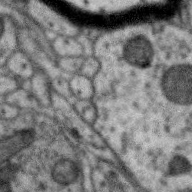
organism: Zebra finch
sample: Brain